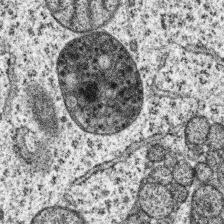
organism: Human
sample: HeLa cells